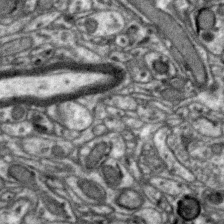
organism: Zebra finch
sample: Brain